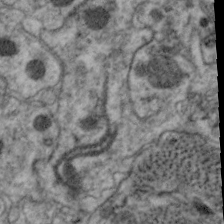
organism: C. elegans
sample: Pharynx